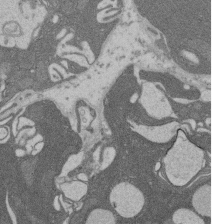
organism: Rat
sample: Salivary granule